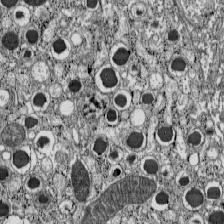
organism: C57BL Mouse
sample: Pancreatic islet